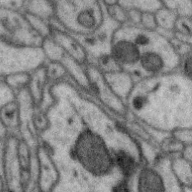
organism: Zebra finch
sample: Brain